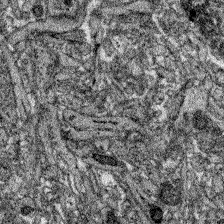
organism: Zebrafish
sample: Larval olfactory bulb